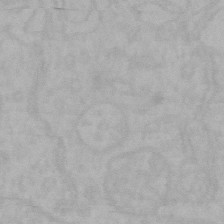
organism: Mouse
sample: Choroid plexus